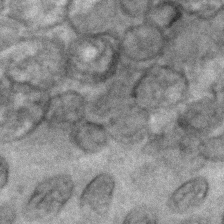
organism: C. elegans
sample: C. elegans embryo